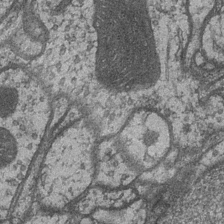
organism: Drosophila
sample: Optic medulla